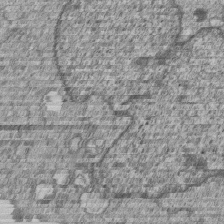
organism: Human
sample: MDA-MB-231 cells